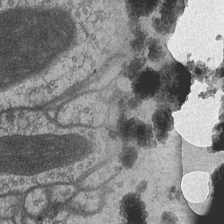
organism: Drosophila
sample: Optic medulla